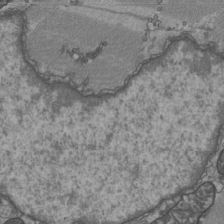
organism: C57BL Mouse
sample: Heart